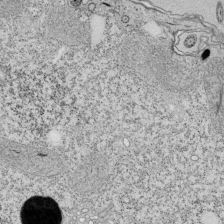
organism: Tetrahymena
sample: Cilia in tetrahymena